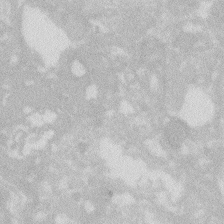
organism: Zebrafish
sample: Macrophage